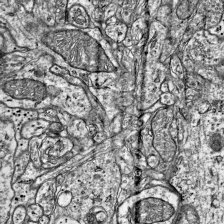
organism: Mouse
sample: Visual Cortex